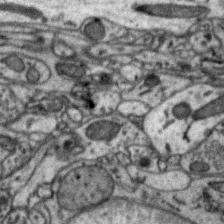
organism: Zebra finch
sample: Brain